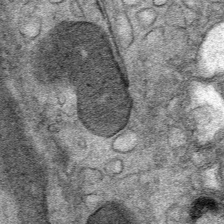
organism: Mouse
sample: Mouse Salivary gland